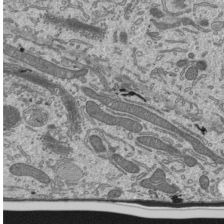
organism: Mouse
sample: Mouse epididymis efferent ductule cilia